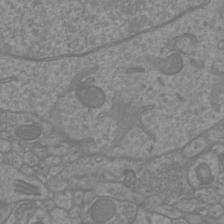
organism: Mouse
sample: Cortical neurons